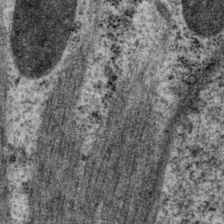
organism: P. pacificus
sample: Pharynx